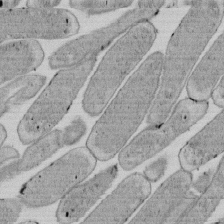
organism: E. coli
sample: Bacterial nucleoid